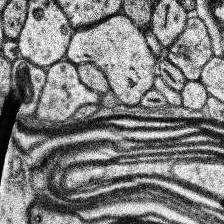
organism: Human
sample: Temporal Lobe